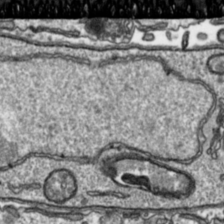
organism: Toxoplasma gondii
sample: Parasites in a vacuole inside a host cell